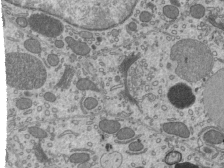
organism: Mouse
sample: Mouse epididymis efferent ductule cilia